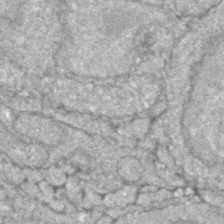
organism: Zebrafish